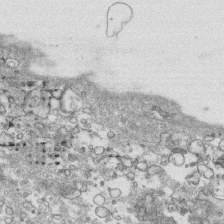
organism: Human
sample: CRL-1474